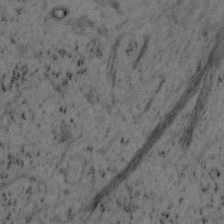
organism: Human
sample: HeLa cells